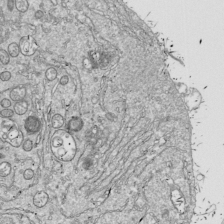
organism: Drosophila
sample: Cell division; meiosis; drosophila spermatocytes